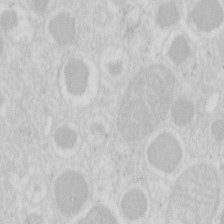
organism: Mouse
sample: Pancreas